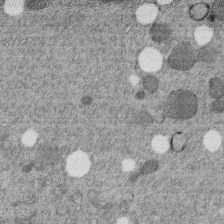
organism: C. elegans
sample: C. elegans embryo early stage